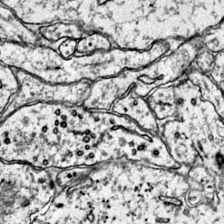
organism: Mouse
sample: Primary visual cortex